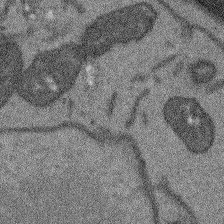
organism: Arabidopsis thaliana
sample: Root tip